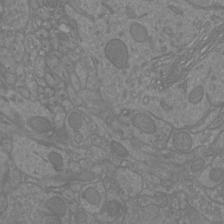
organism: Mouse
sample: Cortical neurons